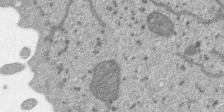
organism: Human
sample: Lung epithelial cells infected with SARS-CoV-2